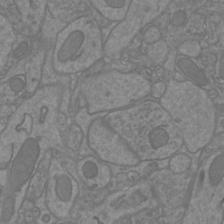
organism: Mouse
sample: Cortical neurons